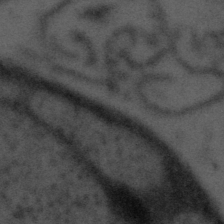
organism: Tuwongella immobilis